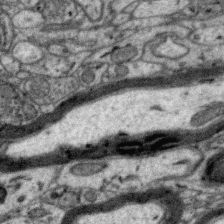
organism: Zebra finch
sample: Brain